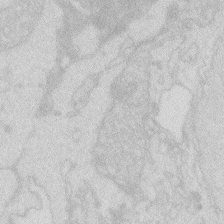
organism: Zebrafish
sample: Macrophage